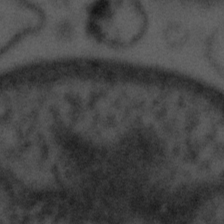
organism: Tuwongella immobilis